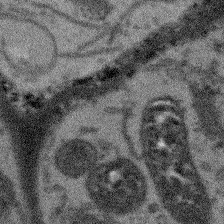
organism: Arabidopsis thaliana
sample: Root tip